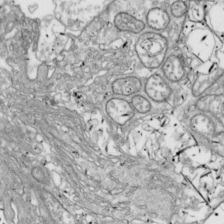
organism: Drosophila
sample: Cell division; meiosis; drosophila spermatocytes